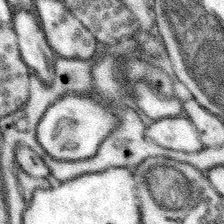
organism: Mouse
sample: Somatosensory cortex neuropil